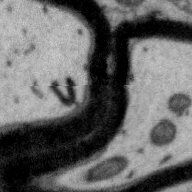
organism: Zebra finch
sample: Brain